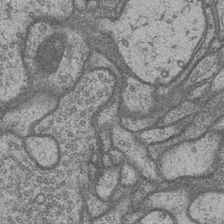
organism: Drosophila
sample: Optic medulla